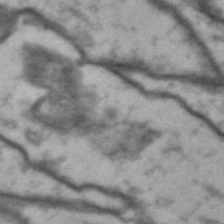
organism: Drosophila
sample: Brain